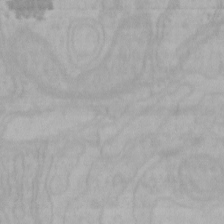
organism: Mouse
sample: Choroid plexus